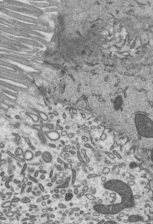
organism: Mouse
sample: Mouse epididymis efferent ductule cilia